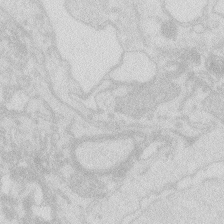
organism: Zebrafish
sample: Macrophage